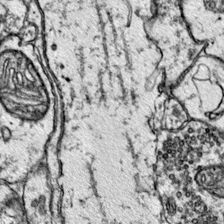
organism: Mouse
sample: Primary visual cortex